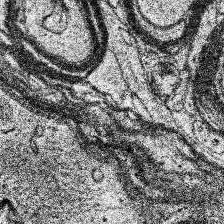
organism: Human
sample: Temporal Lobe